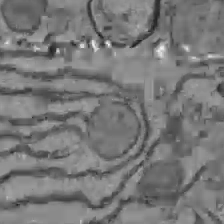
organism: C57BL Mouse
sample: Liver